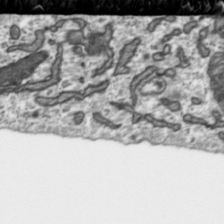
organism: Toxoplasma gondii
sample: Parasites in a vacuole inside a host cell